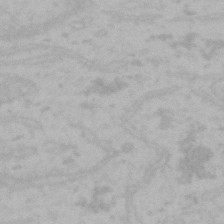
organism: Mouse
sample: Choroid plexus